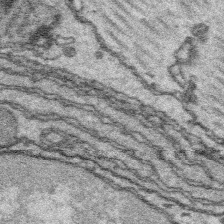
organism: Platynereis dumerilii